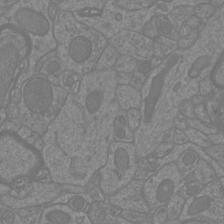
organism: Mouse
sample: Cortical neurons